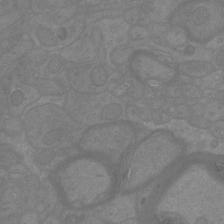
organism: Mouse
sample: Cortical neurons